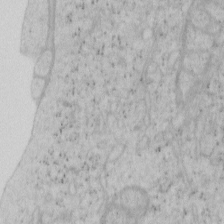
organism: Human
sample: HeLa cells